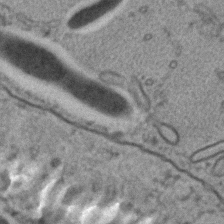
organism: C. elegans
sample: C. elegans embryo